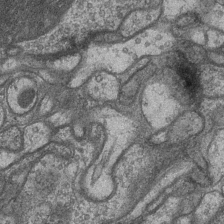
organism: Drosophila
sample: Optic medulla